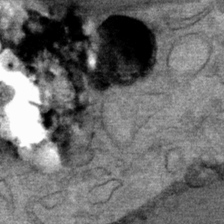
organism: Mouse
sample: Mouse Salivary gland